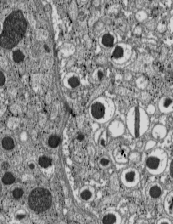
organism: C57BL Mouse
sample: Pancreatic islet